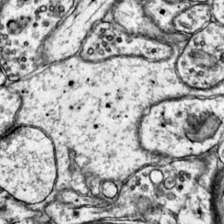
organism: Mouse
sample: Primary visual cortex